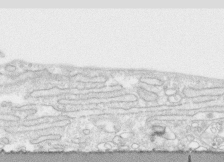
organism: Human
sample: CRL-1474